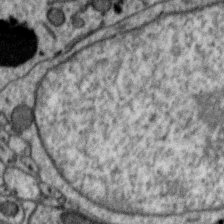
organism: Zebra finch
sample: Brain